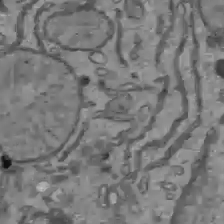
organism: C57BL Mouse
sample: Liver